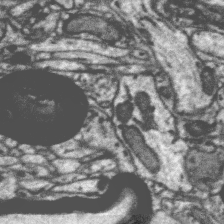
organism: Zebra finch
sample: Brain